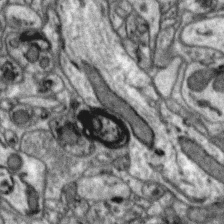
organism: Zebra finch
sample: Brain